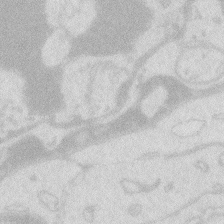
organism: Zebrafish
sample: Macrophage